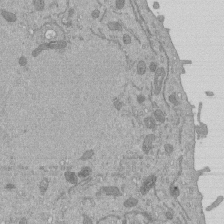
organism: Mouse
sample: ED-1 cell nuclei; centrioles